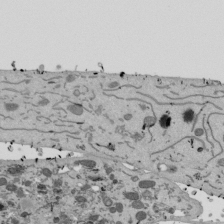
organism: Mouse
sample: ED-1 cell nuclei; centrioles